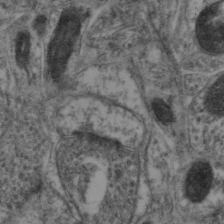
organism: Mouse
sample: Neocortex